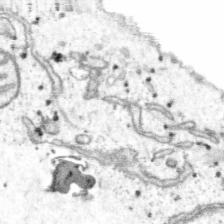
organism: Human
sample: HeLa cells